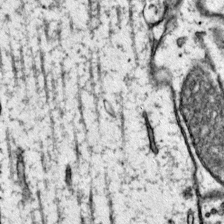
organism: Mouse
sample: Primary visual cortex